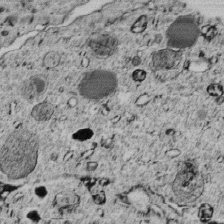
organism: C. elegans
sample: C. elegans embryo early stage